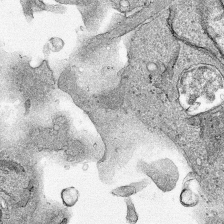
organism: Human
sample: Mitochondria in HCT116 cells